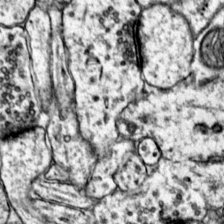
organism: Mouse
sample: Primary visual cortex